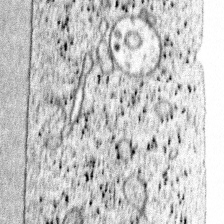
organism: Human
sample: HeLa cells